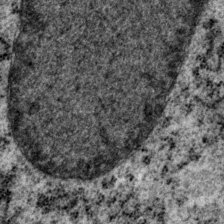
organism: P. pacificus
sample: Pharynx